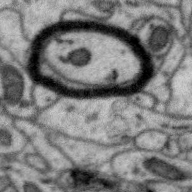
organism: Zebra finch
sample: Brain